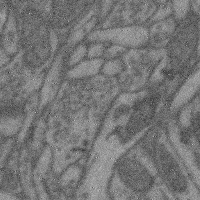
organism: Mouse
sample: Cerebral cortex